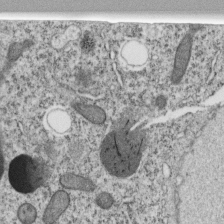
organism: C. elegans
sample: C. elegans embryo early stage